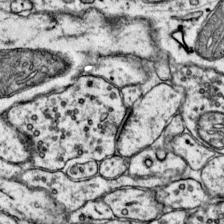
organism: Mouse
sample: Primary visual cortex